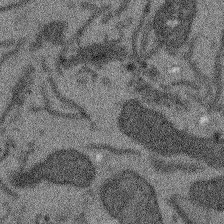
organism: Arabidopsis thaliana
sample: Root tip